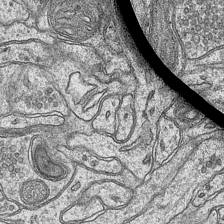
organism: Mouse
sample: CA1 Hippocampus